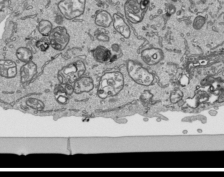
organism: Human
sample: Mitochondria in HCT116 cells